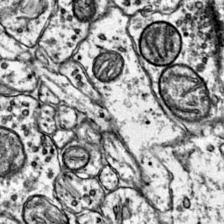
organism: Mouse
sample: Primary visual cortex